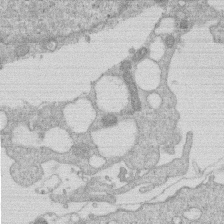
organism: Human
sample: Macrophage cells